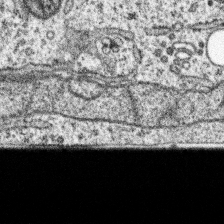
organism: Human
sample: HeLa cells